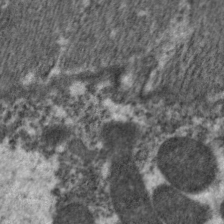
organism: C. elegans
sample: Pharynx